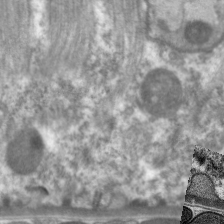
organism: C. elegans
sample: Pharynx